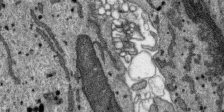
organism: Human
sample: Lung epithelial cells, uninfected (mock) control